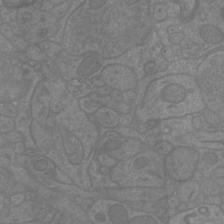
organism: Mouse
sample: Cortical neurons